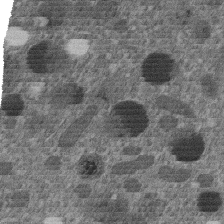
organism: C. elegans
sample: C. elegans embryo early stage